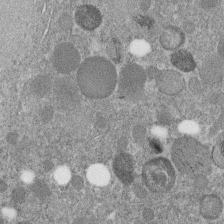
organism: C. elegans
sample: C. elegans embryo early stage